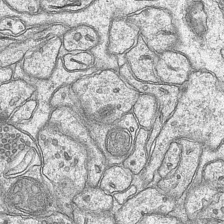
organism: Mouse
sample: CA1 Hippocampus